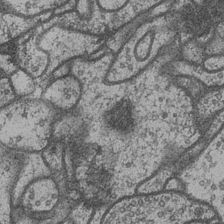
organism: Drosophila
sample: Optic medulla